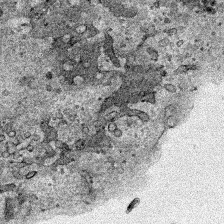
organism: Human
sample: Mitochondria in HCT116 cells